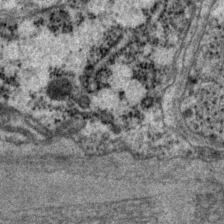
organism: P. pacificus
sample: Pharynx